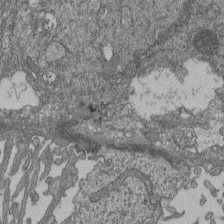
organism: Human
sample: Retinal organoid Rod and Cone cells